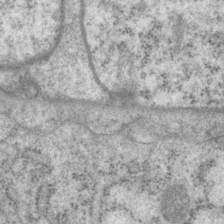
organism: P. pacificus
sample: Pharynx